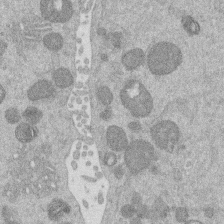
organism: Mouse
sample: Dividing mouse embryo 1 cell stage